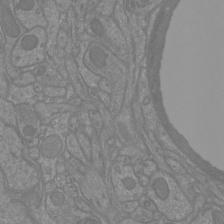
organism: Mouse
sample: Cortical neurons